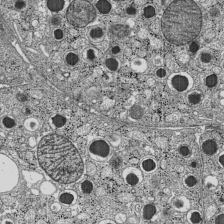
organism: C57BL Mouse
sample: Pancreatic islet